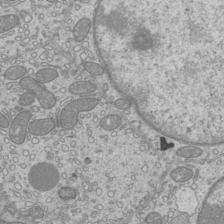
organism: Mouse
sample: Cilia; mouse epididymis